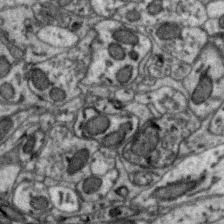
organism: Zebra finch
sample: Brain